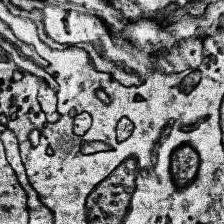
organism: Human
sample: Temporal Lobe